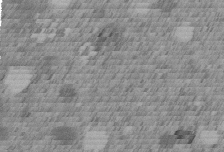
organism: C. elegans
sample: C. elegans embryo early stage